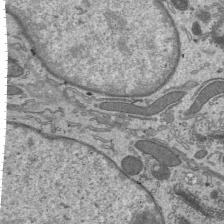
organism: Mouse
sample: Mouse epididymis efferent ductule cilia